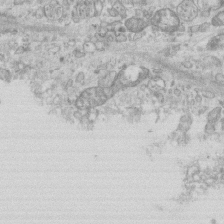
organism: Mouse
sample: Centriole in ependymal cells